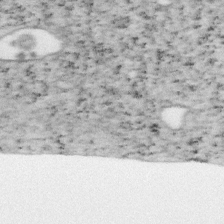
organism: Mouse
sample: OT-I killer T cells with ID8 ovarian cancer cells